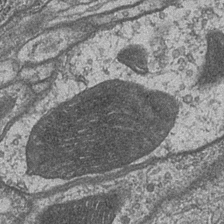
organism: Drosophila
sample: Optic medulla